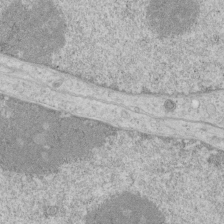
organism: Human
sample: Mitochondria in HCT116 cells